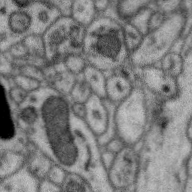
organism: Zebra finch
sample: Brain